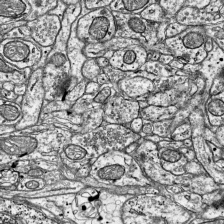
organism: Mouse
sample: Visual Cortex